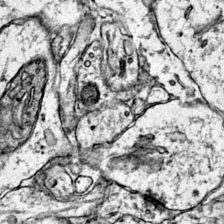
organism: Mouse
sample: Primary visual cortex